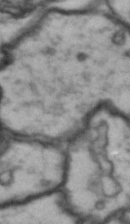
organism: Drosophila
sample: Brain